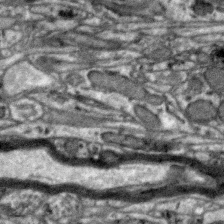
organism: Zebra finch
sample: Brain